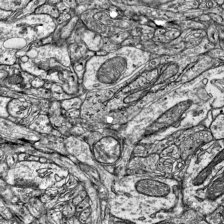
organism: Mouse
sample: Visual Cortex